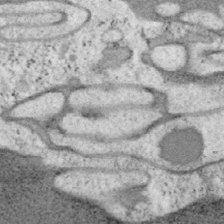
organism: Mouse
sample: OT-I killer T cells with ID8 ovarian cancer cells